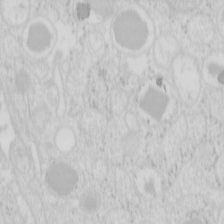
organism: Mouse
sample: Pancreas